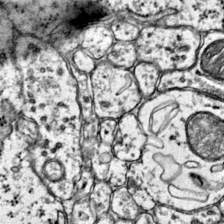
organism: Mouse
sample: Primary visual cortex